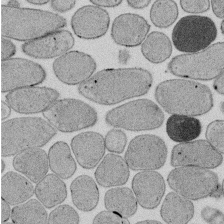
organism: E. coli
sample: Bacterial nucleoid